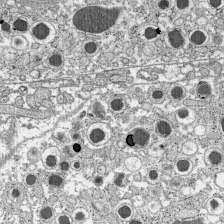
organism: C57BL Mouse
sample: Pancreatic islet